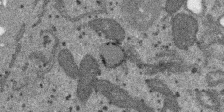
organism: Human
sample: Lung epithelial cells infected with SARS-CoV-2